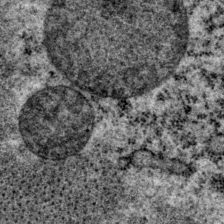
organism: P. pacificus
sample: Pharynx